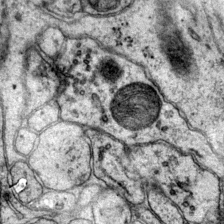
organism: Mouse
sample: Primary visual cortex